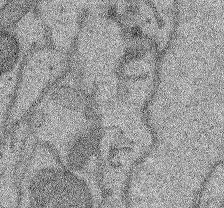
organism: Human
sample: HeLa cells